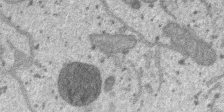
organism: Human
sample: Lung epithelial cells infected with SARS-CoV-2